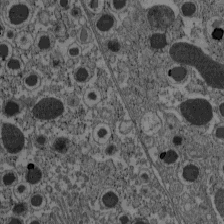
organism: C57BL Mouse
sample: Pancreatic islet